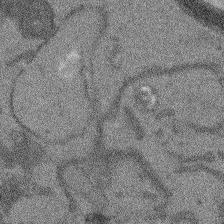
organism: Arabidopsis thaliana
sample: Root tip